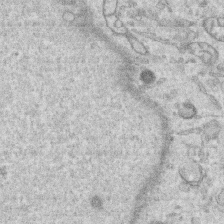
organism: Human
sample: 1205lu cells